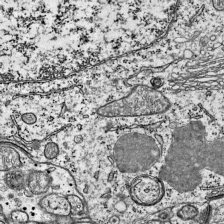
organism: Mouse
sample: Visual Cortex